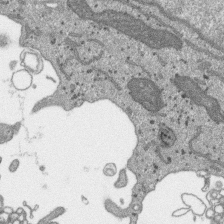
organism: Human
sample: Lung epithelial cells infected with SARS-CoV-2